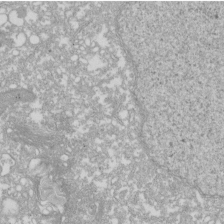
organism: Xenopus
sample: Cilia; centrioles in frog embryo cells